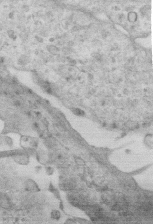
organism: Mouse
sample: Centriole in ependymal cells